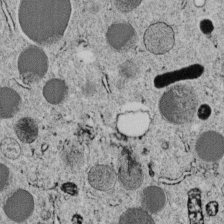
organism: C. elegans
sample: C. elegans embryo early stage